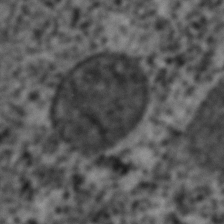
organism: C. elegans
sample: C. elegans embryo